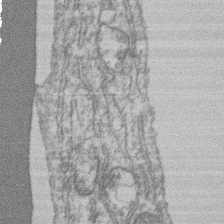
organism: Mouse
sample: T cell stromal cell synapse